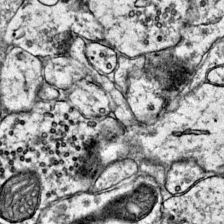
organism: Mouse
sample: Primary visual cortex